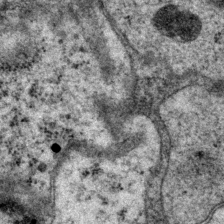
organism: P. pacificus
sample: Pharynx